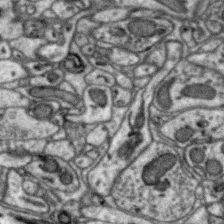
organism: Zebra finch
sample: Brain